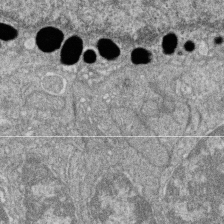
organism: Zebrafish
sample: Cilia; retinal pigment epithelium